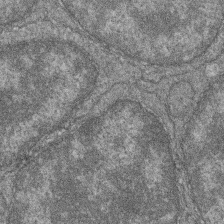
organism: Zebrafish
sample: Cilia; retinal pigment epithelium